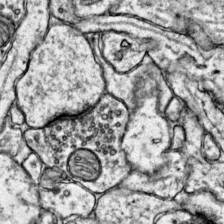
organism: Mouse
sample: Primary visual cortex